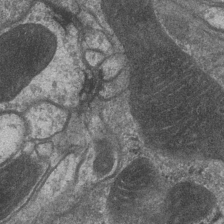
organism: Drosophila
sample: Optic medulla